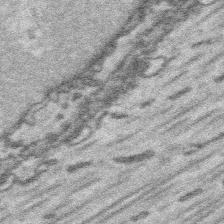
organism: Platynereis dumerilii